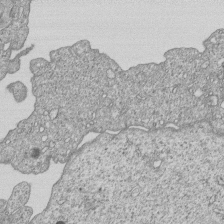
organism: Human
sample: MDA-MB-231 cells